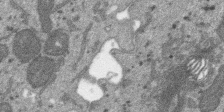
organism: Human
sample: Lung epithelial cells infected with SARS-CoV-2